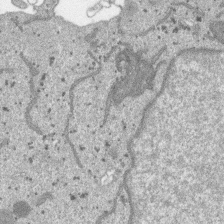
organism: Human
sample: Lung epithelial cells infected with SARS-CoV-2